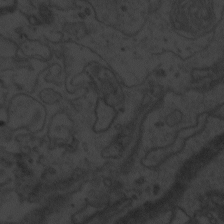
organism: Zebrafish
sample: Macrophage infected with Toxoplasma gondii